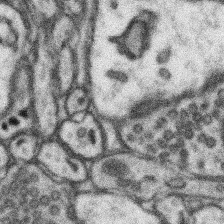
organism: Mouse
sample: Somatosensory cortex neuropil